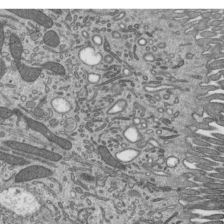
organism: Mouse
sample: Mouse epididymis efferent ductule cilia